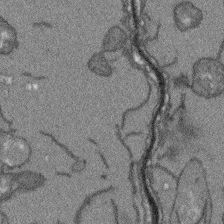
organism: Arabidopsis thaliana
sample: Root tip